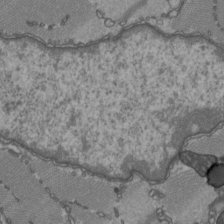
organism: C57BL Mouse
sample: Heart